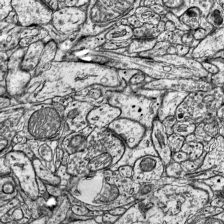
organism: Mouse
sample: Visual Cortex